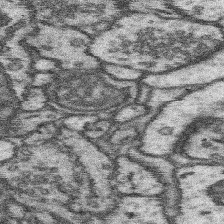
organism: Mouse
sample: Somatosensory cortex neuropil